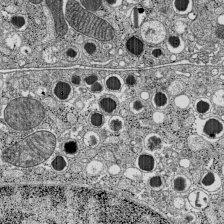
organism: C57BL Mouse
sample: Pancreatic islet